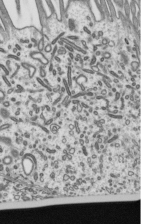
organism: Mouse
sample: Mouse epididymis efferent ductule cilia